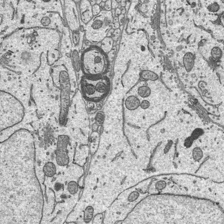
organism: Mouse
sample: Suprachiasmatic nucleus